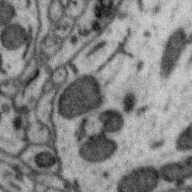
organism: Zebra finch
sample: Brain